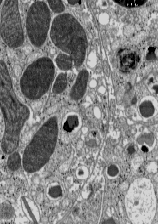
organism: C57BL Mouse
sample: Pancreatic islet